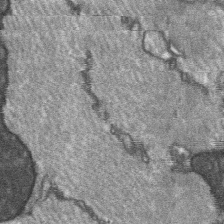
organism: C57BL Mouse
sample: Soleus